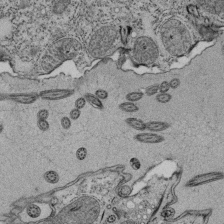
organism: Tetrahymena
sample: Cilia in tetrahymena